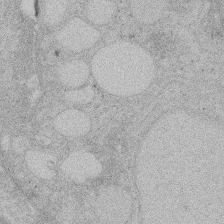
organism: Rat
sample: Salivary granule